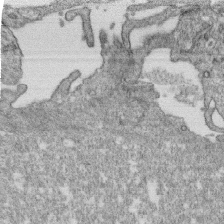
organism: African green monkey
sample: Vero E6 cells infected with SARS-CoV-2